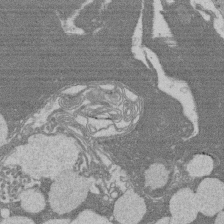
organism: Rat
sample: Salivary granule